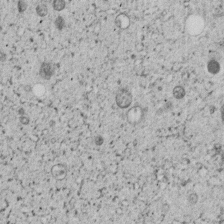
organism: C. elegans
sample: C. elegans embryo early stage